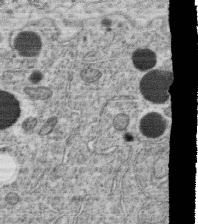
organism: C. elegans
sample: C. elegans oocyte; sperm cells